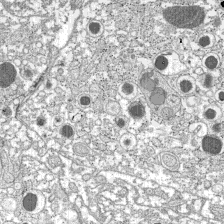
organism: C57BL Mouse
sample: Pancreatic islet